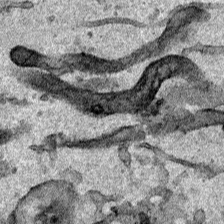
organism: Human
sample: Mitochondria in HCT116 cells